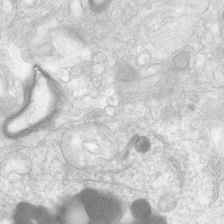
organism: Human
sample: Neocortex